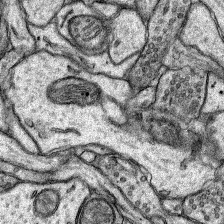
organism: Rat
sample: Hippocampus